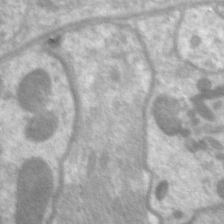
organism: C. elegans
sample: Pharynx